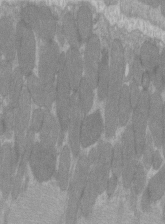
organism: C57BL Mouse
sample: Tibialis anterior muscle cell